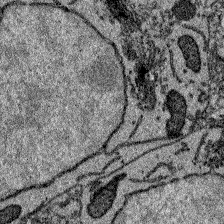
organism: Zebrafish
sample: Larval olfactory bulb